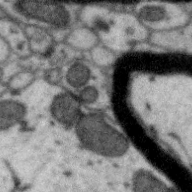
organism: Zebra finch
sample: Brain